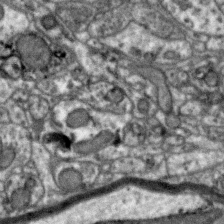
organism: Zebra finch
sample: Brain